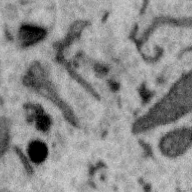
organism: Zebra finch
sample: Brain